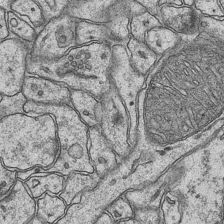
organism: Mouse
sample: CA1 Hippocampus